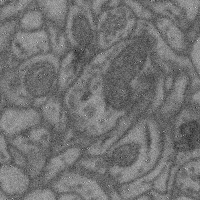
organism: Mouse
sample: Cerebral cortex